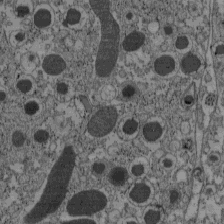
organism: C57BL Mouse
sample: Pancreatic islet